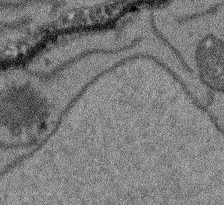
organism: Arabidopsis thaliana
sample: Root tip